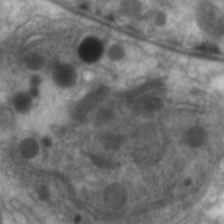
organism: C. elegans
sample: Pharynx